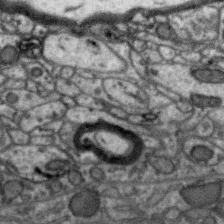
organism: Zebra finch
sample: Brain